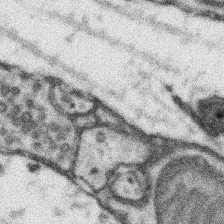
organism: Mouse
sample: Somatosensory cortex neuropil